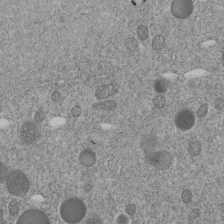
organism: C. elegans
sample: C. elegans embryo early stage